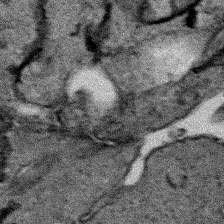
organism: Human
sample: Mitochondria in HCT116 cells